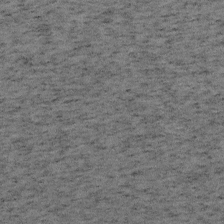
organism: Mouse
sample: OT-I killer T cells with ID8 ovarian cancer cells